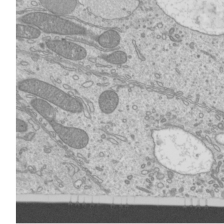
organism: Mouse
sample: Cilia; mouse epididymis